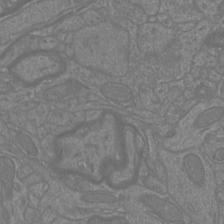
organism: Mouse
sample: Cortical neurons